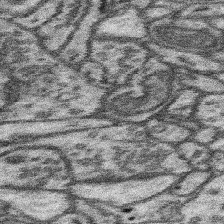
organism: Mouse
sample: Somatosensory cortex neuropil